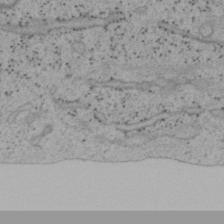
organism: Human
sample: HeLa cells